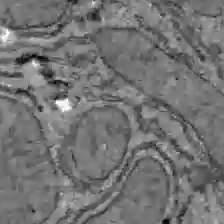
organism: C57BL Mouse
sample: Liver